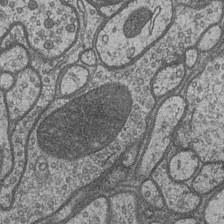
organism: Drosophila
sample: Optic medulla